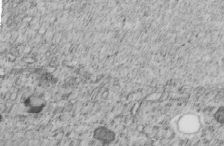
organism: C. elegans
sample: C. elegans embryo early stage